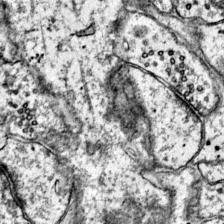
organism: Mouse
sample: Primary visual cortex